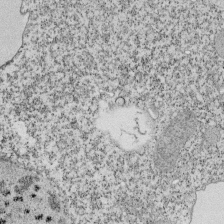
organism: Tetrahymena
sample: Cilia in tetrahymena